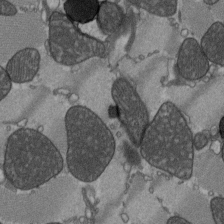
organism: C57BL Mouse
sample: Heart